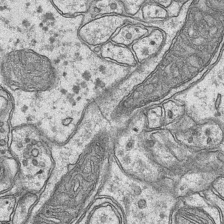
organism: Mouse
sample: CA1 Hippocampus